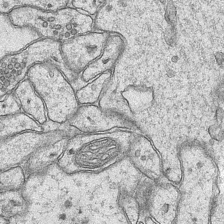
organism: Mouse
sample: CA1 Hippocampus